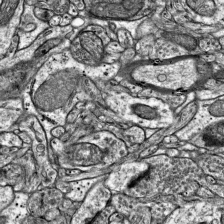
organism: Mouse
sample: Visual Cortex